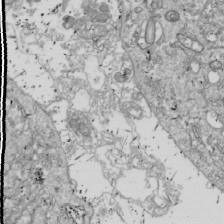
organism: Drosophila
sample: Cell division; meiosis; drosophila spermatocytes